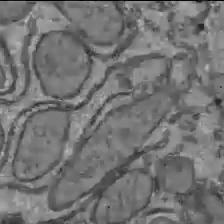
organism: C57BL Mouse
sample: Liver